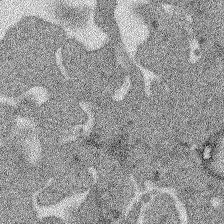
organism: Human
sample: HeLa cells